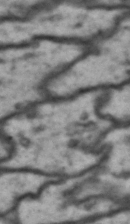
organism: Drosophila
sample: Brain